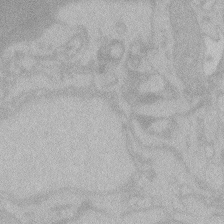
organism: Zebrafish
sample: Macrophage infected with Toxoplasma gondii